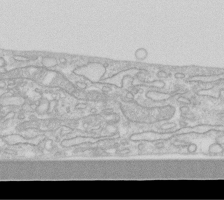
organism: Human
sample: Fibroblast cells